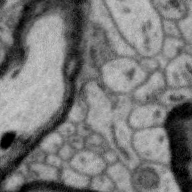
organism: Zebra finch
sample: Brain